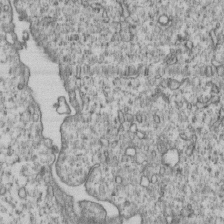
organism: Human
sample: MDA-MB-231 cells